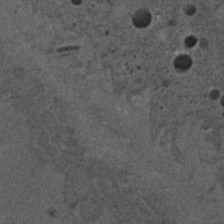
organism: C. elegans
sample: C. elegans embryo